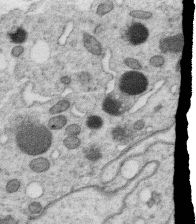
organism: C. elegans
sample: C. elegans oocyte; sperm cells